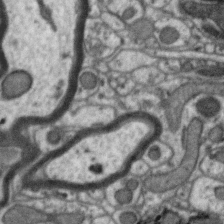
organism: Zebra finch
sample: Brain